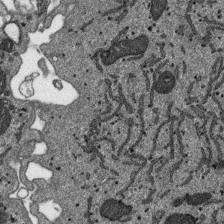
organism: Human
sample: Lung epithelial cells infected with SARS-CoV-2